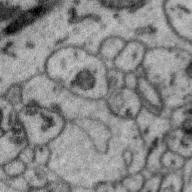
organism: Zebra finch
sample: Brain